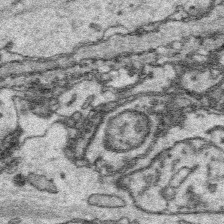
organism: Platynereis dumerilii